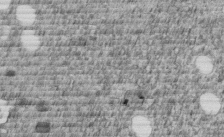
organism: C. elegans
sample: C. elegans embryo early stage